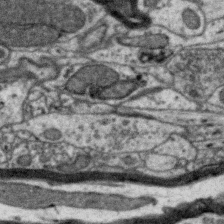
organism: Zebra finch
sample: Brain